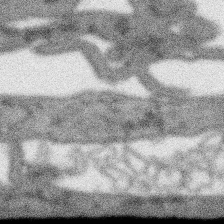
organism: Human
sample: Lung epithelial cells infected with SARS-CoV-2